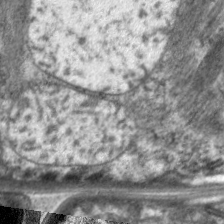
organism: C. elegans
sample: Pharynx